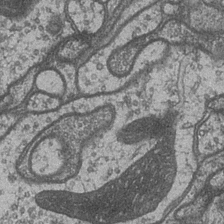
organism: Drosophila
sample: Optic medulla